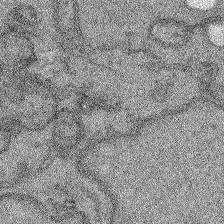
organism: Human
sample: HeLa cells